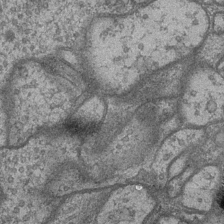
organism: Drosophila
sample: Optic medulla